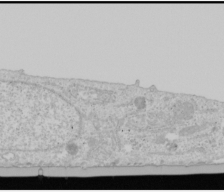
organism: Human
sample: Mitochondria in U2OS cells